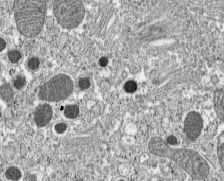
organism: C57BL Mouse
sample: Pancreatic islet